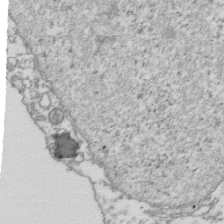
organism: Human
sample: Activated Jurkat CD4+ T cells